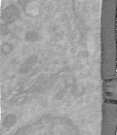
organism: Human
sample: Centriole in RPE cells